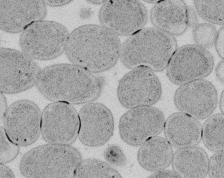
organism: E. coli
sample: Bacterial nucleoid